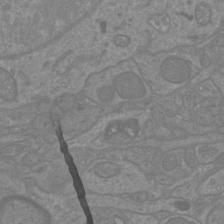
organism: Mouse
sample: Cortical neurons